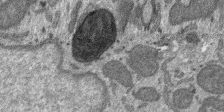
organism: Human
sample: Lung epithelial cells infected with SARS-CoV-2